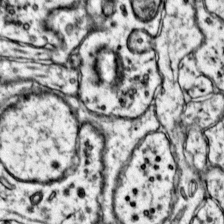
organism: Mouse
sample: Primary visual cortex